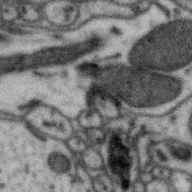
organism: Zebra finch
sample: Brain